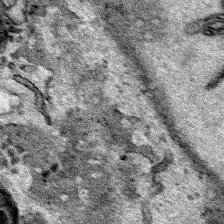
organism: Human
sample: Mitochondria in HCT116 cells